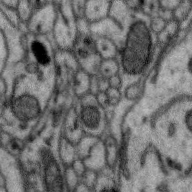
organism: Zebra finch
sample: Brain